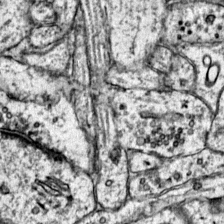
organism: Mouse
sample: Primary visual cortex